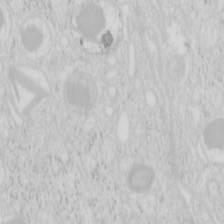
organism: Mouse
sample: Pancreas